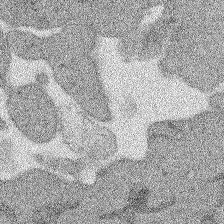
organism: Human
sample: HeLa cells